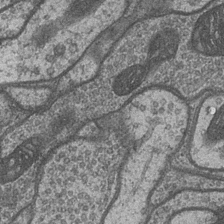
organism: Drosophila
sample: Optic medulla